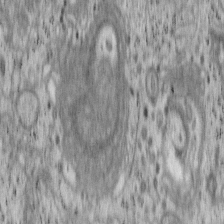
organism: Human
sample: HeLa cells